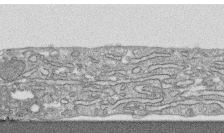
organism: Human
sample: CRL-1474